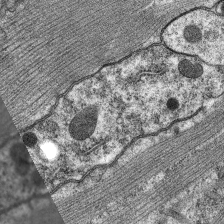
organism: C. elegans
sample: Pharynx